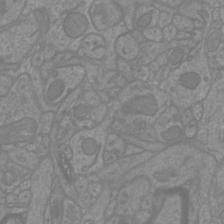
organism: Mouse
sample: Cortical neurons